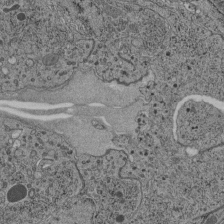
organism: C. elegans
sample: C. elegans pharynx